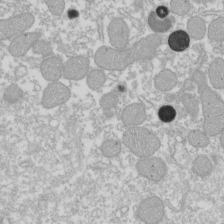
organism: Xenopus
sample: Cilia; centrioles in frog embryo cells